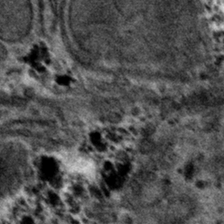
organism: Mouse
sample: Mouse hepatocytes